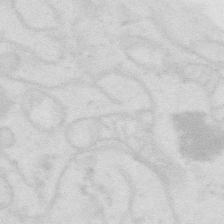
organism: Human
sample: HeLa cells